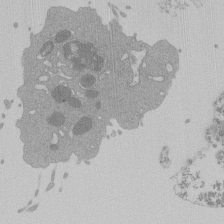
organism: Mouse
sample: Activated Pmel transgenic CD8+ T Cells